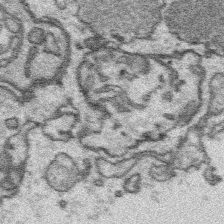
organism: Platynereis dumerilii